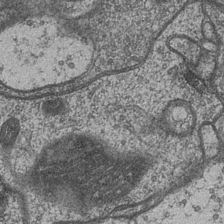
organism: Drosophila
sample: Optic medulla